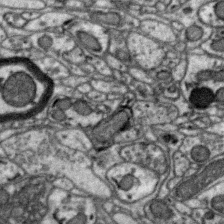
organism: Zebra finch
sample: Brain